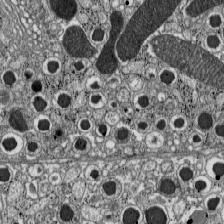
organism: C57BL Mouse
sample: Pancreatic islet